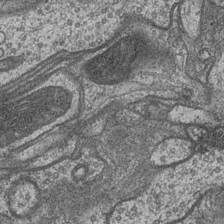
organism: Drosophila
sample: Optic medulla